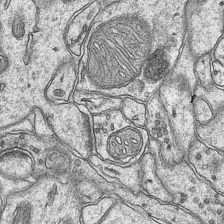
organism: Mouse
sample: CA1 Hippocampus